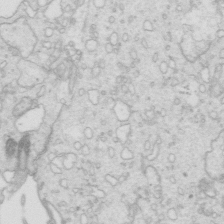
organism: Mouse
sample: Multiciliated cells